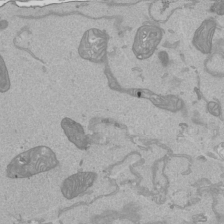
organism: Human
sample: Mitochondria in HCT116 cells